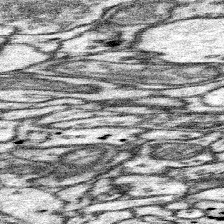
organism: Mouse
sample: Somatosensory cortex neuropil